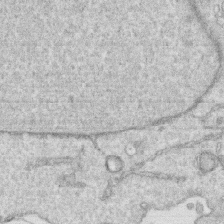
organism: Human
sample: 1205lu cells